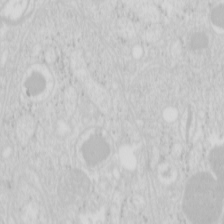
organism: Mouse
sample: Pancreas